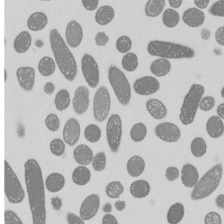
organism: E. coli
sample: Bacterial nucleoid